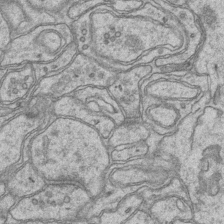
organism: Mouse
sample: CA1 Hippocampus